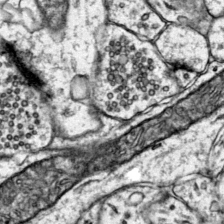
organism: Mouse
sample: Primary visual cortex